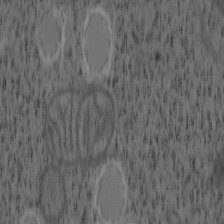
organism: Human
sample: HeLa cells